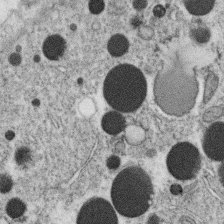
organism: C. elegans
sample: C. elegans oocyte; sperm cells